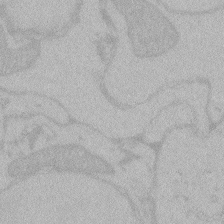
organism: Zebrafish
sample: Macrophage infected with Toxoplasma gondii